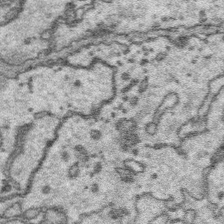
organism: Platynereis dumerilii